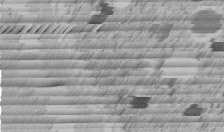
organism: C. elegans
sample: C. elegans embryo early stage